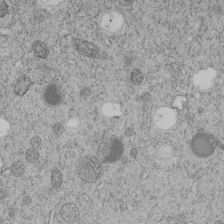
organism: C. elegans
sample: C. elegans embryo early stage